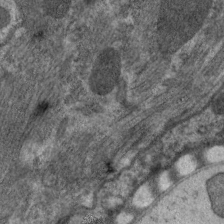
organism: C. elegans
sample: Pharynx